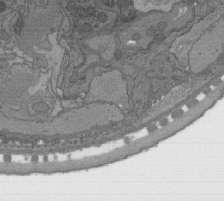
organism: C. elegans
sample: AFD neurons C. elegans